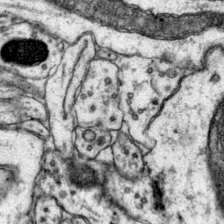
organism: Mouse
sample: Primary visual cortex